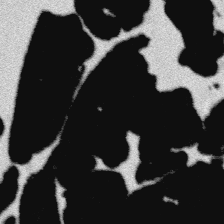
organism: Platynereis dumerilii